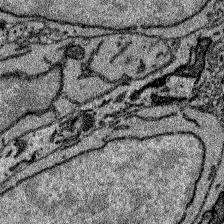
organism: Zebrafish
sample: Larval olfactory bulb